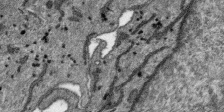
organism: Human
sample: Lung epithelial cells, uninfected (mock) control